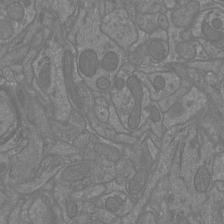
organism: Mouse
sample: Cortical neurons